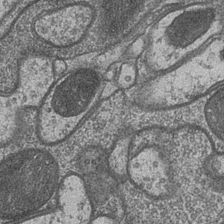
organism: Drosophila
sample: Optic medulla